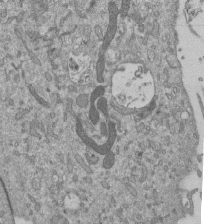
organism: Mouse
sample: ED-1 cell nuclei; centrioles